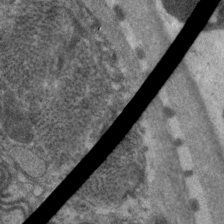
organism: C. elegans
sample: Pharynx